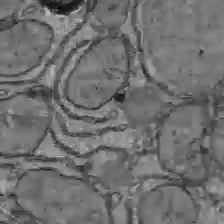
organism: C57BL Mouse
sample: Liver